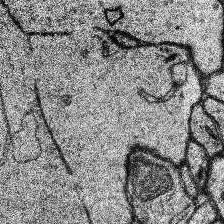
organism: Human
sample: Temporal Lobe